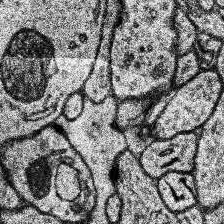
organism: Human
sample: Temporal Lobe